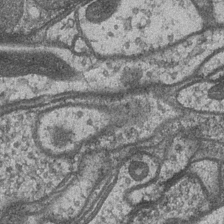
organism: Drosophila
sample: Optic medulla